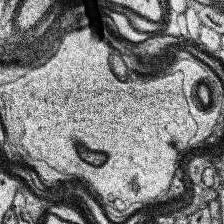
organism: Human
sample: Temporal Lobe